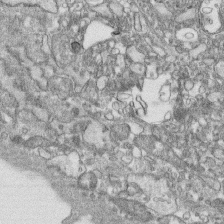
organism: Human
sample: CRL-1474